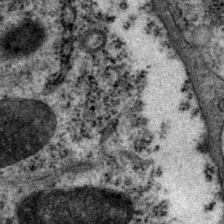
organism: P. pacificus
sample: Pharynx